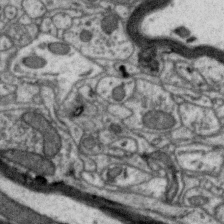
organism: Zebra finch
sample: Brain